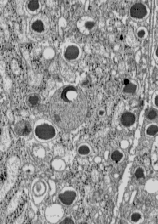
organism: C57BL Mouse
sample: Pancreatic islet